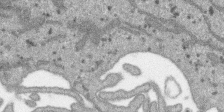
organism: Human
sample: Lung epithelial cells infected with SARS-CoV-2